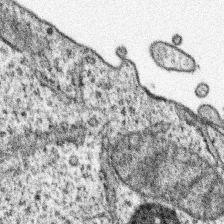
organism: Human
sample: HeLa cells